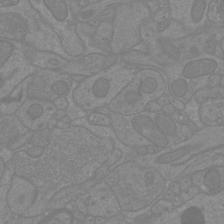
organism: Mouse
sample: Cortical neurons